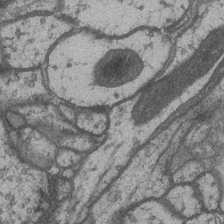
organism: Drosophila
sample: Optic medulla